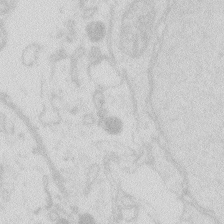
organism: Zebrafish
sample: Macrophage